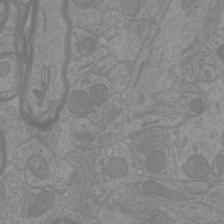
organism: Mouse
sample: Cortical neurons